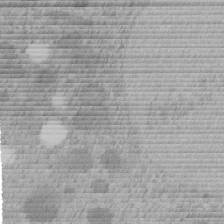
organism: C. elegans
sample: C. elegans embryo early stage